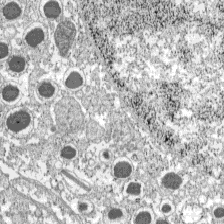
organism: C57BL Mouse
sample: Pancreatic islet